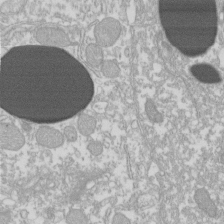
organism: Xenopus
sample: Cilia; centrioles in frog embryo cells